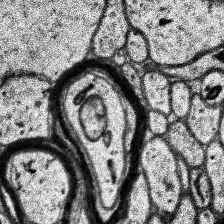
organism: Human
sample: Temporal Lobe